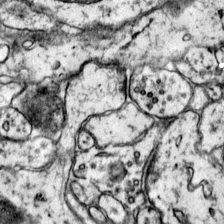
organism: Mouse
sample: Primary visual cortex